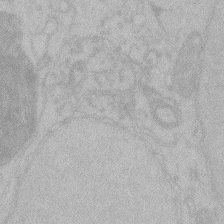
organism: Zebrafish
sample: Macrophage infected with Toxoplasma gondii